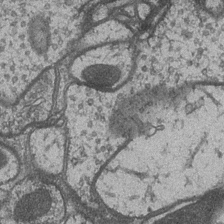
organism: Drosophila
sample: Optic medulla